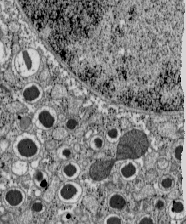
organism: C57BL Mouse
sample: Pancreatic islet